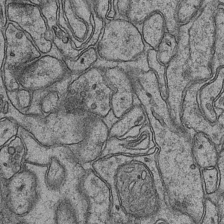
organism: Mouse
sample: CA1 Hippocampus